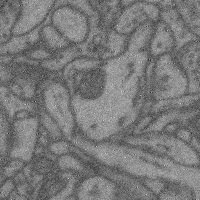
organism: Mouse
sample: Cerebral cortex